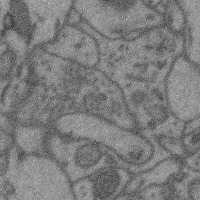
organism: Mouse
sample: Cerebral cortex